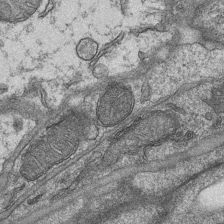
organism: Mouse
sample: CA1 Hippocampus